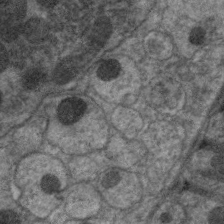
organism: C. elegans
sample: Pharynx